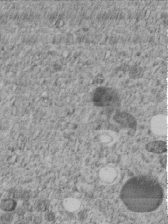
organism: C. elegans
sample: C. elegans embryo early stage